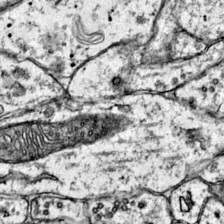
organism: Mouse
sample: Primary visual cortex